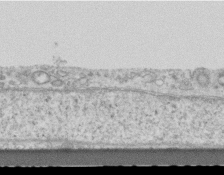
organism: Mouse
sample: Centriole in ependymal cells